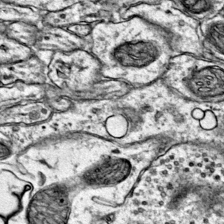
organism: Mouse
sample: Primary visual cortex